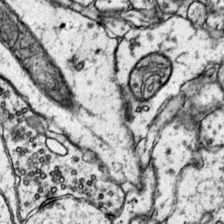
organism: Mouse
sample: Primary visual cortex